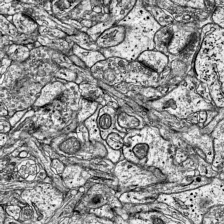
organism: Mouse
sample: Visual Cortex